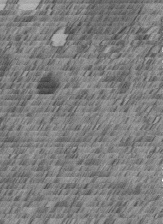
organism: C. elegans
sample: C. elegans embryo early stage